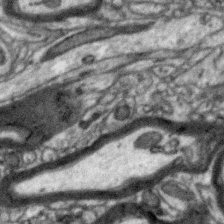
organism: Zebra finch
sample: Brain